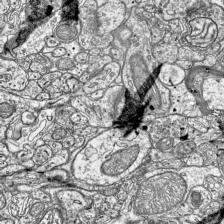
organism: Mouse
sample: Visual Cortex